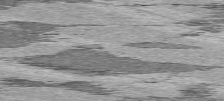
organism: C57BL Mouse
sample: Heart